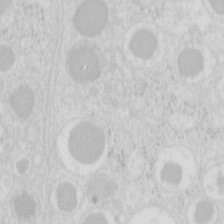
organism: Mouse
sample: Pancreas